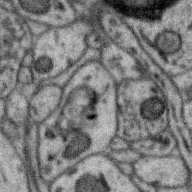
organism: Zebra finch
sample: Brain